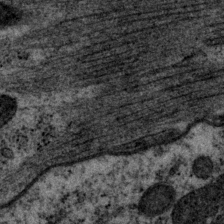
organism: P. pacificus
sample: Pharynx